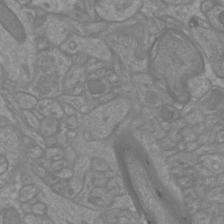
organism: Mouse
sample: Cortical neurons